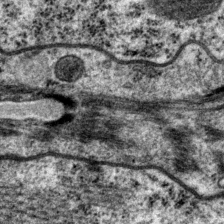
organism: P. pacificus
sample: Pharynx